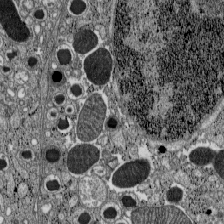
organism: C57BL Mouse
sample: Pancreatic islet